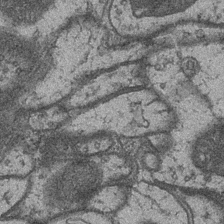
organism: Drosophila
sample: Optic medulla